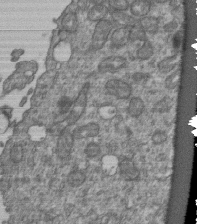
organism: Human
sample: Retinal organoid Rod and Cone cells